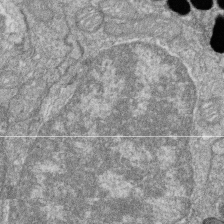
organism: Zebrafish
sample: Cilia; retinal pigment epithelium